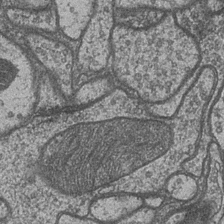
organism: Drosophila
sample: Optic medulla